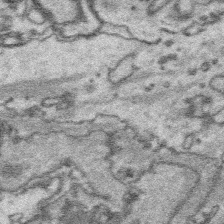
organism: Platynereis dumerilii